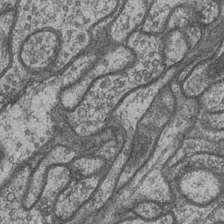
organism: Drosophila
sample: Optic medulla